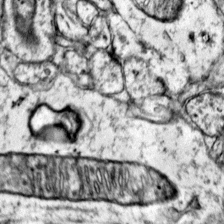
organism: Mouse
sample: Primary visual cortex